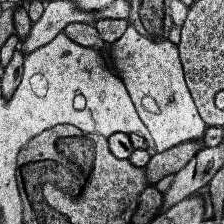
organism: Human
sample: Temporal Lobe